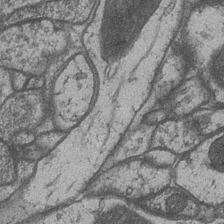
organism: Drosophila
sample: Optic medulla